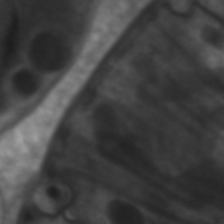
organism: C. elegans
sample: Pharynx